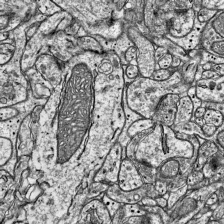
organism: Mouse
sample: Visual Cortex